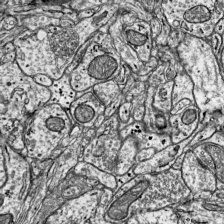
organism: Mouse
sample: Visual Cortex